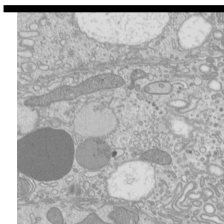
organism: Mouse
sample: Cilia; mouse epididymis